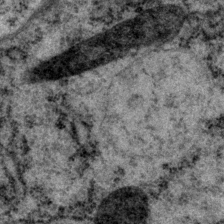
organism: P. pacificus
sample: Pharynx